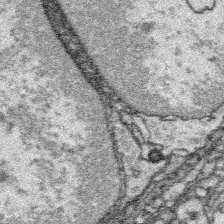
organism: Platynereis dumerilii